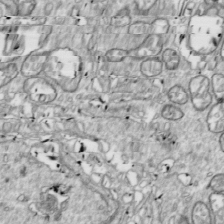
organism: Drosophila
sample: Cell division; meiosis; drosophila spermatocytes